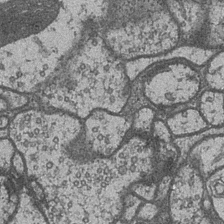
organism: Drosophila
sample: Optic medulla